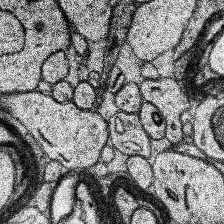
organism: Human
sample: Temporal Lobe